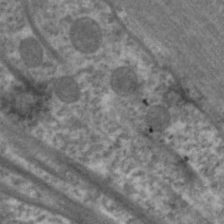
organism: C. elegans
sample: Pharynx